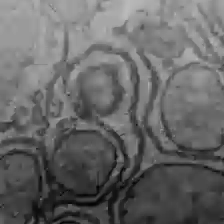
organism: C57BL Mouse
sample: Liver